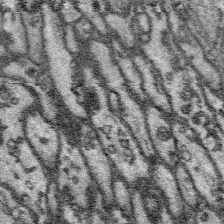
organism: Platynereis dumerilii